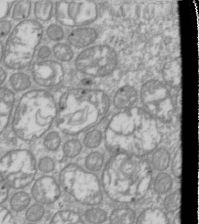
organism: Drosophila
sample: Cell division; meiosis; drosophila spermatocytes